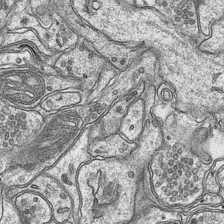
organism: Mouse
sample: CA1 Hippocampus